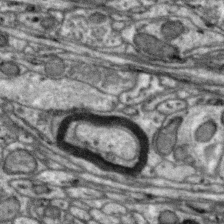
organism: Zebra finch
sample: Brain